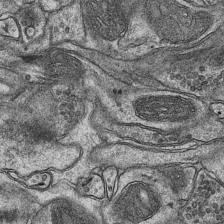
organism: Mouse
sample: CA1 Hippocampus